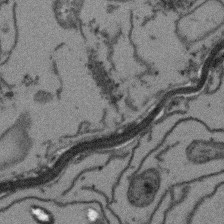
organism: Arabidopsis thaliana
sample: Root tip